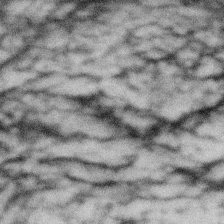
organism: Gemmata obscuriglobus